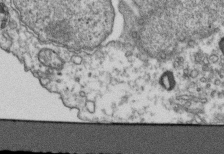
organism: Human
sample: Activated Jurkat CD4+ T cells